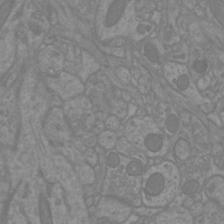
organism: Mouse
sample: Cortical neurons